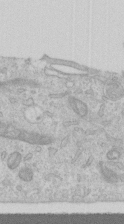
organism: Human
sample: Centriole in RPE cells